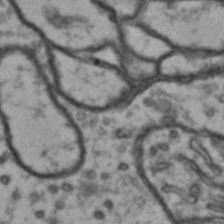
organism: Drosophila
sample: Brain